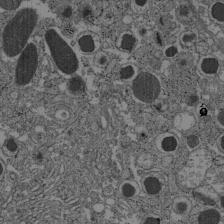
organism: C57BL Mouse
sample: Pancreatic islet